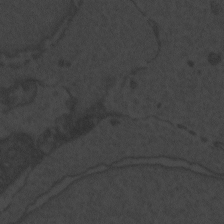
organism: Zebrafish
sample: Macrophage infected with Toxoplasma gondii